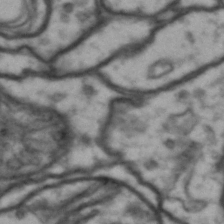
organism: Drosophila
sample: Brain